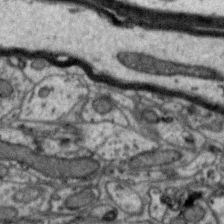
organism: Zebra finch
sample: Brain